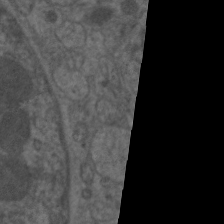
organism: C. elegans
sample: Pharynx